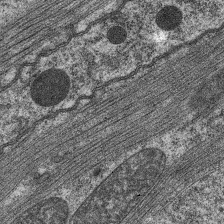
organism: C. elegans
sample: Pharynx